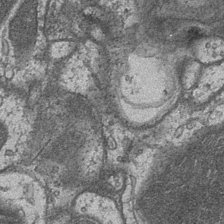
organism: Drosophila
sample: Optic medulla